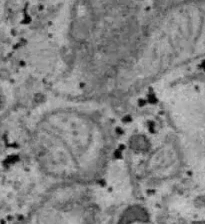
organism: Mouse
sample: Liver from an obese (ob/ob) mouse